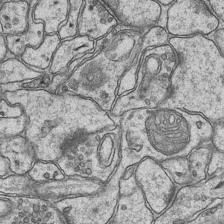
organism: Mouse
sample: CA1 Hippocampus